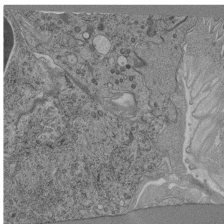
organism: C. elegans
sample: C. elegans pharynx